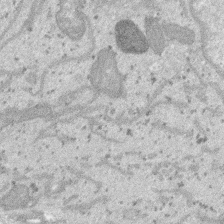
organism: Human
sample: Lung epithelial cells infected with SARS-CoV-2